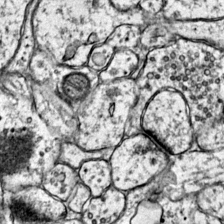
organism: Mouse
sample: Primary visual cortex